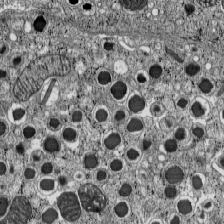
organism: C57BL Mouse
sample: Pancreatic islet